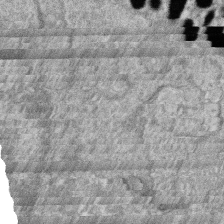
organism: Zebrafish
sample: Cilia; retinal pigment epithelium